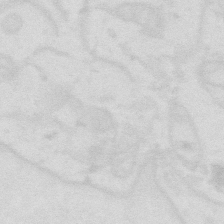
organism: Human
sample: HeLa cells